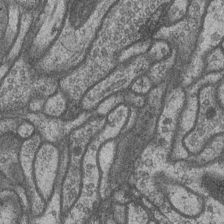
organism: Drosophila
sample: Optic medulla